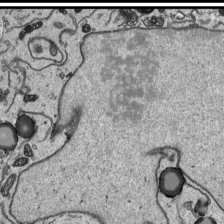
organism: Human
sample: Mitochondria in HCT116 cells